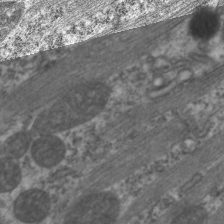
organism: C. elegans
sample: Pharynx